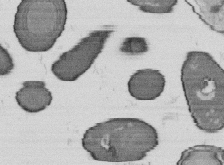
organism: B. subtilis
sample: Bacterial spore